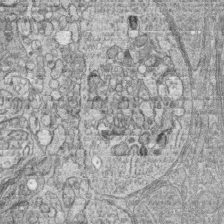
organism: Zebrafish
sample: synaptic ribbons in rod cells and cone cells